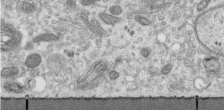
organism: Human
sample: Centriole in RPE cells